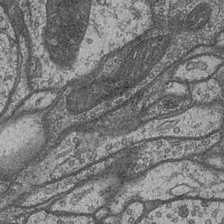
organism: Drosophila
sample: Optic medulla